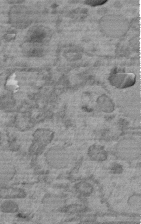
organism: C. elegans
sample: C. elegans embryo early stage